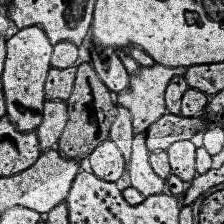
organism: Human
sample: Temporal Lobe